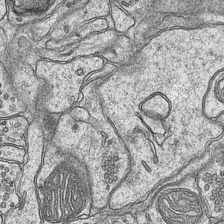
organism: Mouse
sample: CA1 Hippocampus